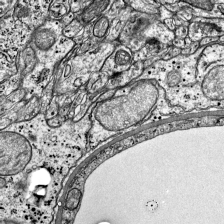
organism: Mouse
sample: Visual Cortex